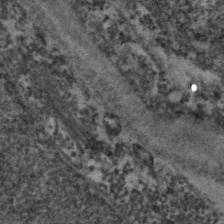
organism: Zebrafish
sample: Zebrafish embryo